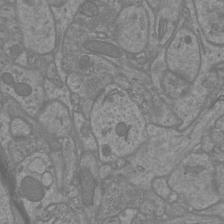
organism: Mouse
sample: Cortical neurons